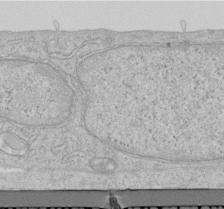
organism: Human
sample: Centriole in RPE cells